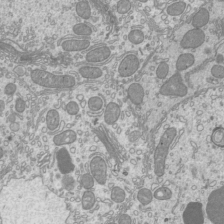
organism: Mouse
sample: Cilia; mouse epididymis